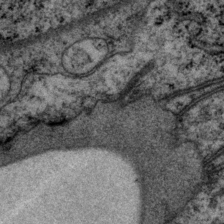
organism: P. pacificus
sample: Pharynx